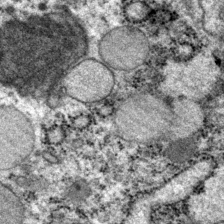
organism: P. pacificus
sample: Pharynx